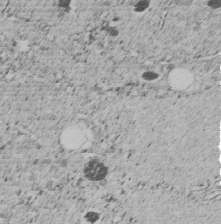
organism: C. elegans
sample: C. elegans embryo early stage